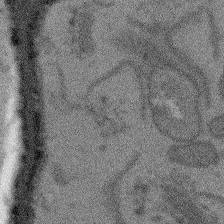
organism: Arabidopsis thaliana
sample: Root tip